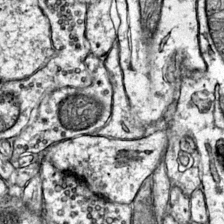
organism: Mouse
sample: Primary visual cortex